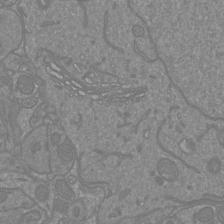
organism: Mouse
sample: Cortical neurons